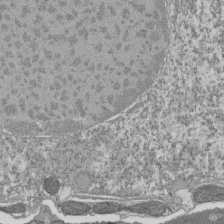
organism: Tetrahymena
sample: Cilia in tetrahymena